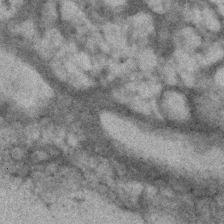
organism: Human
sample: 1205lu cells